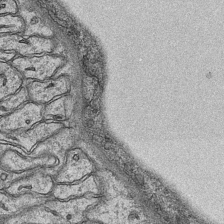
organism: Mouse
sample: CA1 Hippocampus